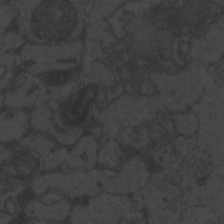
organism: Zebrafish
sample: Macrophage infected with Toxoplasma gondii